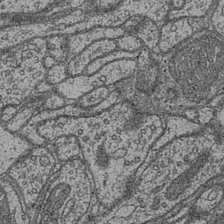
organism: Drosophila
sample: Optic medulla